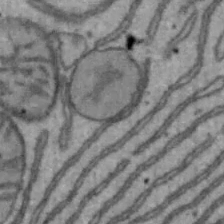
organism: Mouse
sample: Liver